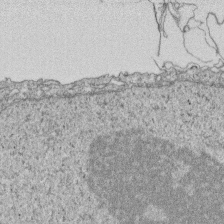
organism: Human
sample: HeLa cell HIV synapse